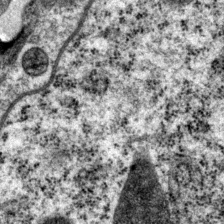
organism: P. pacificus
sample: Pharynx